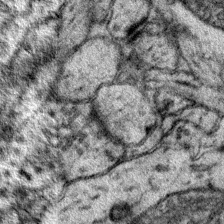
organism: Mouse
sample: Primary visual cortex